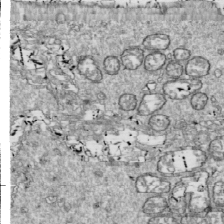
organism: Drosophila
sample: Cell division; meiosis; drosophila spermatocytes